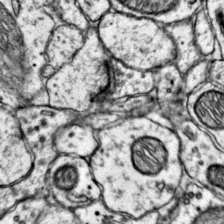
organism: Mouse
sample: Primary visual cortex